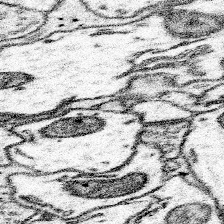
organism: Mouse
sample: Somatosensory cortex neuropil